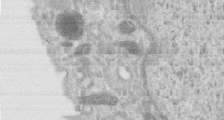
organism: Human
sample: Centriole in RPE cells